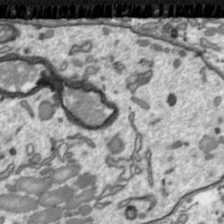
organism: Toxoplasma gondii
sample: Parasites in a vacuole inside a host cell